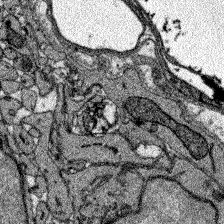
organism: Zebrafish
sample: Larval olfactory bulb